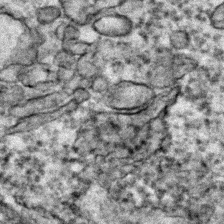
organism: Zebrafish